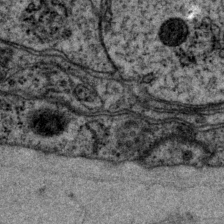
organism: P. pacificus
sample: Pharynx